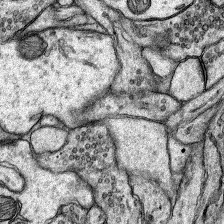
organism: Rat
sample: Hippocampus